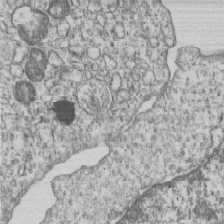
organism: Human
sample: MDA-MB-231 cells